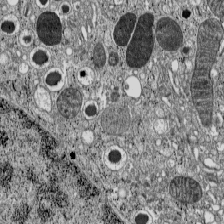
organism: C57BL Mouse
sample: Pancreatic islet